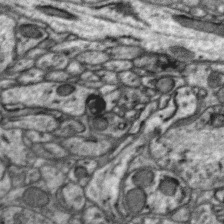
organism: Zebra finch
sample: Brain